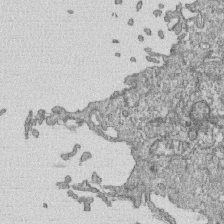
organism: Human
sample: HeLa cell HIV synapse